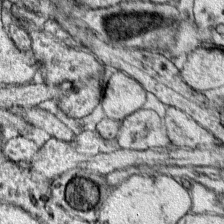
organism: Mouse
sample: Primary visual cortex